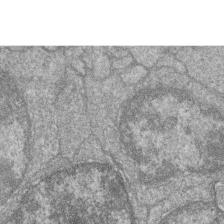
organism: Zebrafish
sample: Cilia; retinal pigment epithelium